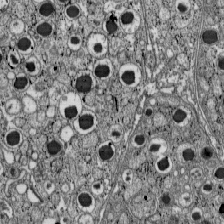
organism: C57BL Mouse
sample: Pancreatic islet